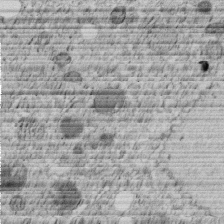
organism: C. elegans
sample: C. elegans embryo early stage